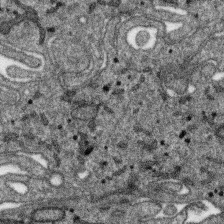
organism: Human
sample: Lung epithelial cells infected with SARS-CoV-2